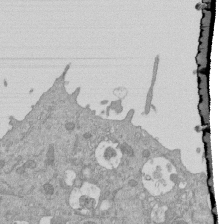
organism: Mouse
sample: ED-1 cell nuclei; centrioles